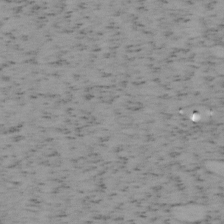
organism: Mouse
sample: OT-I killer T cells with ID8 ovarian cancer cells